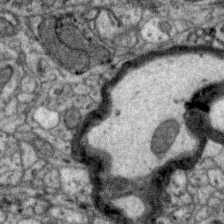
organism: Zebra finch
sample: Brain